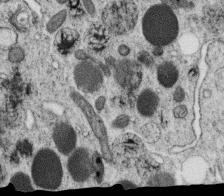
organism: C. elegans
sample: C. elegans oocyte; sperm cells